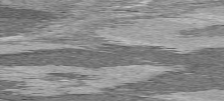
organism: C57BL Mouse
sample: Heart